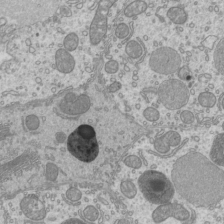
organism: Mouse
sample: Cilia; mouse epididymis